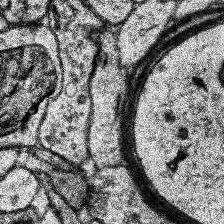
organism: Human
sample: Temporal Lobe